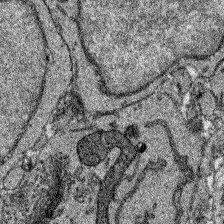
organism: Zebrafish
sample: Larval olfactory bulb